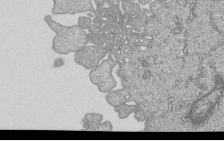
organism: Human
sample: MDA-MB-231 cells